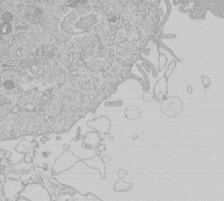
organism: Human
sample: Macrophage cells